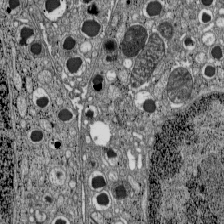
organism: C57BL Mouse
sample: Pancreatic islet